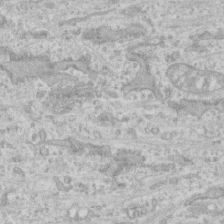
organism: Human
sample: CRL-1474